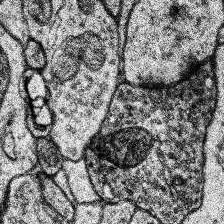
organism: Human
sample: Temporal Lobe